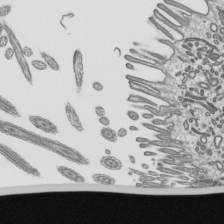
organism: Mouse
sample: Mouse epididymis efferent ductule cilia